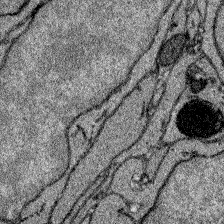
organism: Zebrafish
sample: Larval olfactory bulb